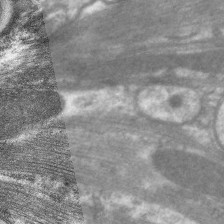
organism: C. elegans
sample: Pharynx